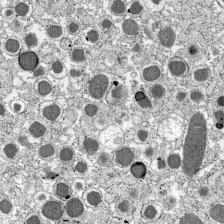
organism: C57BL Mouse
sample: Pancreatic islet